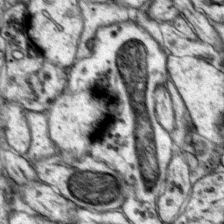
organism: Mouse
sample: Primary visual cortex